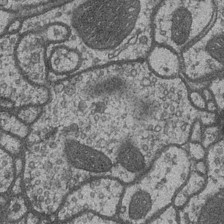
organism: Drosophila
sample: Optic medulla